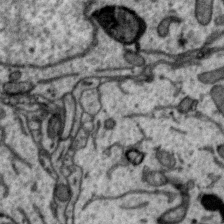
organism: Zebra finch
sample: Brain